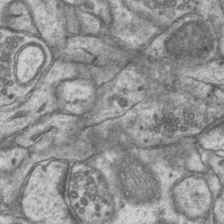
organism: Mouse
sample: CA1 Hippocampus